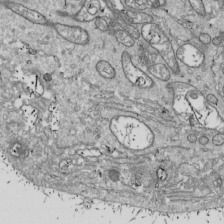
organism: Drosophila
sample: Cell division; meiosis; drosophila spermatocytes